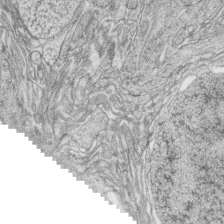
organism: Zebrafish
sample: synaptic ribbons in rod cells and cone cells